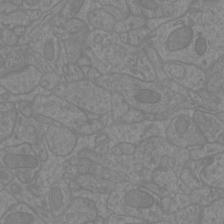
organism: Mouse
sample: Cortical neurons